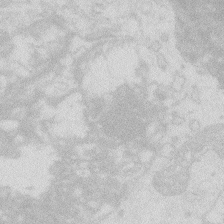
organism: Zebrafish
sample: Macrophage